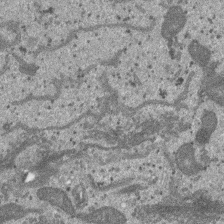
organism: Human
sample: Lung epithelial cells infected with SARS-CoV-2